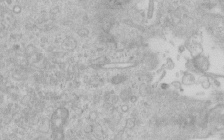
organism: Human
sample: Centriole in RPE cells